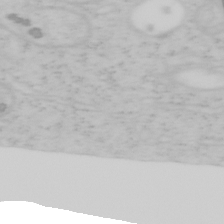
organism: Mouse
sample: OT-I killer T cells with ID8 ovarian cancer cells